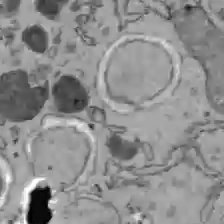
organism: C57BL Mouse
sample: Liver